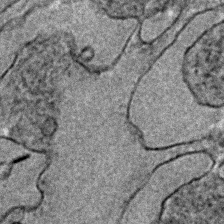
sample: Trachea